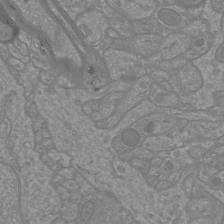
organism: Mouse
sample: Cortical neurons